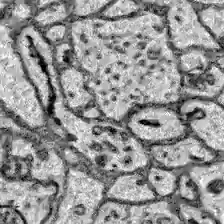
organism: Zebrafish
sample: Brain